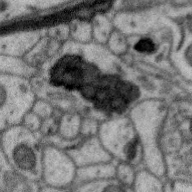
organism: Zebra finch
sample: Brain